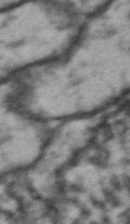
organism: Drosophila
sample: Brain